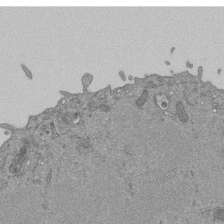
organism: Mouse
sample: ED-1 cell nuclei; centrioles